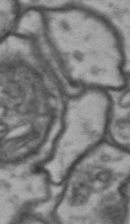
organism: Drosophila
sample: Brain